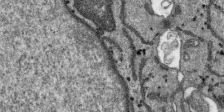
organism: Human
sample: Lung epithelial cells, uninfected (mock) control